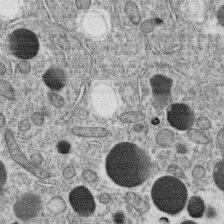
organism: C. elegans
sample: C. elegans oocyte; sperm cells